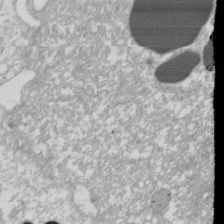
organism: Xenopus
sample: Cilia; centrioles in frog embryo cells